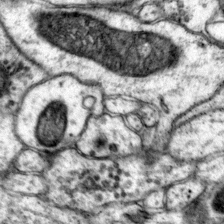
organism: Mouse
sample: Primary visual cortex